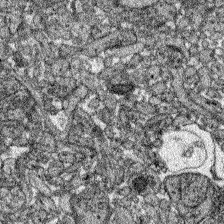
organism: Zebrafish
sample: Larval olfactory bulb